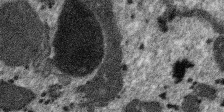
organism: Human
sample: Lung epithelial cells infected with SARS-CoV-2